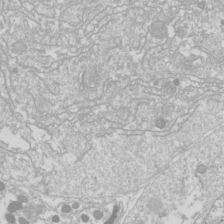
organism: Drosophila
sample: Cell division; meiosis; drosophila spermatocytes